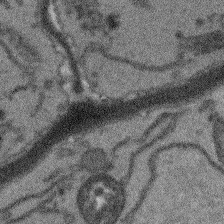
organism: Arabidopsis thaliana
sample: Root tip